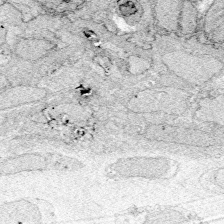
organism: Zebrafish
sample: Whole-Brain